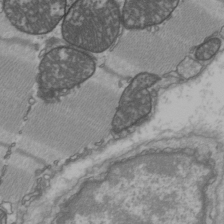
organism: C57BL Mouse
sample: Heart